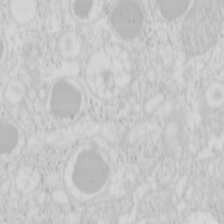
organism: Mouse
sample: Pancreas